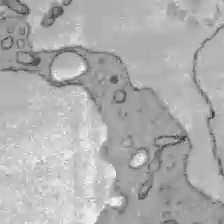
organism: C57BL Mouse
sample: Liver